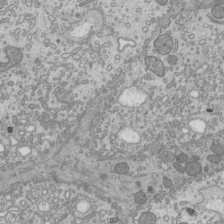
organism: Mouse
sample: Cilia; mouse epididymis